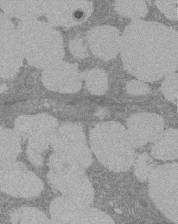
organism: Rat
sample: Salivary granule